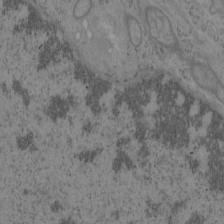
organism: Mouse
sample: OT-I killer T cells with ID8 ovarian cancer cells